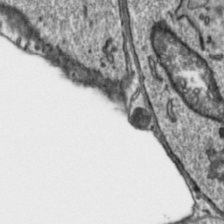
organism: Toxoplasma gondii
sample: Parasites in a vacuole inside a host cell